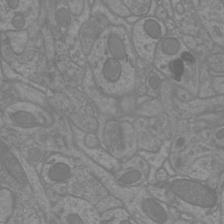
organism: Mouse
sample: Cortical neurons